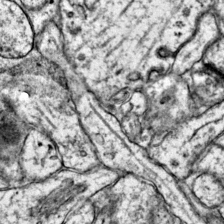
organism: Mouse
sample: Primary visual cortex